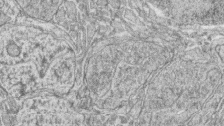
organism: Zebrafish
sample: synaptic ribbons in rod cells and cone cells